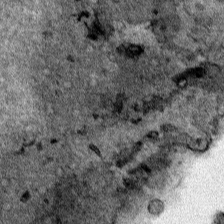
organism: Human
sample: Mitochondria in HCT116 cells